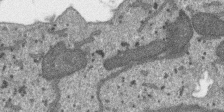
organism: Human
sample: Lung epithelial cells infected with SARS-CoV-2